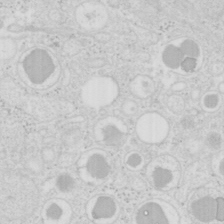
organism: Mouse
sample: Pancreas